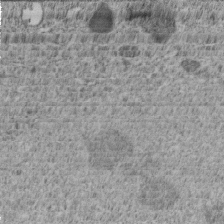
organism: C. elegans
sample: C. elegans embryo early stage